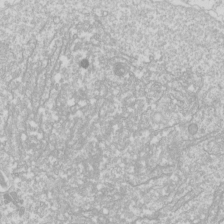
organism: Drosophila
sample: Cell division; meiosis; drosophila spermatocytes